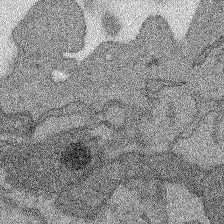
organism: Human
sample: HeLa cells